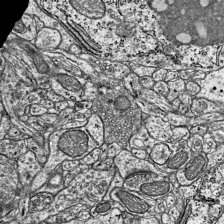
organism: Mouse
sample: Visual Cortex